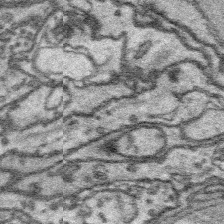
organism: Platynereis dumerilii